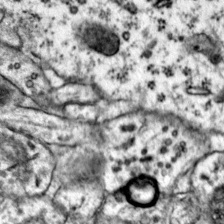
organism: Mouse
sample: Primary visual cortex